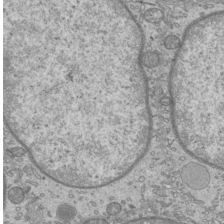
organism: Mouse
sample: Cilia; mouse epididymis